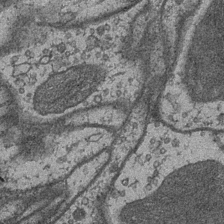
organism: Drosophila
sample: Optic medulla